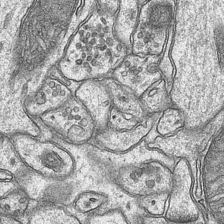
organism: Mouse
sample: CA1 Hippocampus